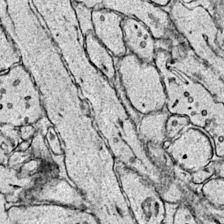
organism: Mouse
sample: Primary visual cortex